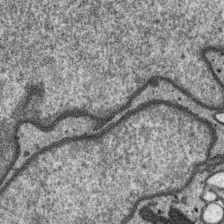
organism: Human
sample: Lung epithelial cells infected with SARS-CoV-2